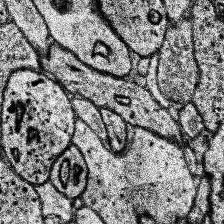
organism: Human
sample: Temporal Lobe